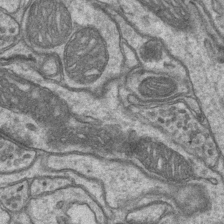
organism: Mouse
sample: CA1 Hippocampus